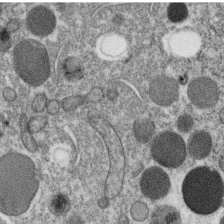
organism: C. elegans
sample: C. elegans oocyte; sperm cells